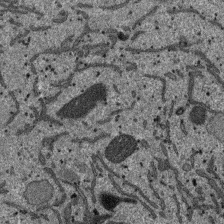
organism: Human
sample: Lung epithelial cells infected with SARS-CoV-2